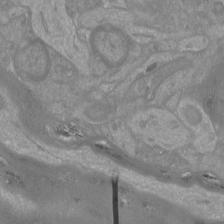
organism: Mouse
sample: Cortical neurons